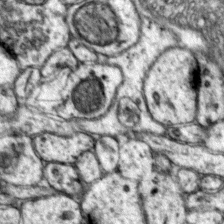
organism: Mouse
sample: Primary visual cortex